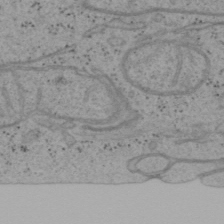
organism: Human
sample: HeLa cells